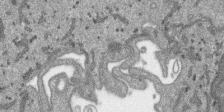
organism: Human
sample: Lung epithelial cells infected with SARS-CoV-2